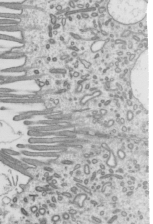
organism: Mouse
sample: Mouse epididymis efferent ductule cilia